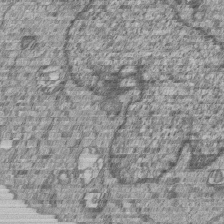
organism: Human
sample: MDA-MB-231 cells